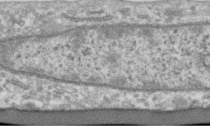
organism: Human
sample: Centriole in RPE cells